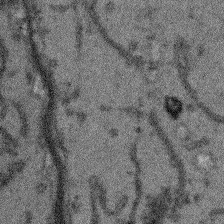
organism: Arabidopsis thaliana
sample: Root tip